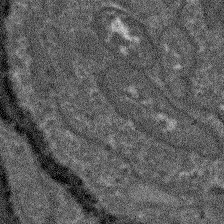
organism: Arabidopsis thaliana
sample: Root tip